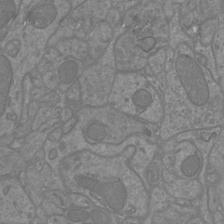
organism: Mouse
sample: Cortical neurons